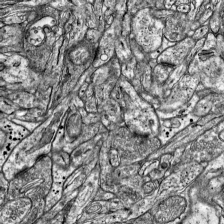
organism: Mouse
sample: Visual Cortex